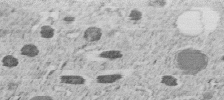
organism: C. elegans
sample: C. elegans embryo early stage